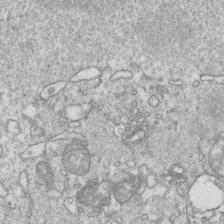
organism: Mouse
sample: Activated OT-1 CD8+ T cells